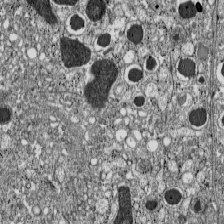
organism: C57BL Mouse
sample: Pancreatic islet